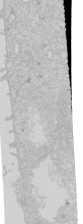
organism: Human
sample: Caco-2 cells